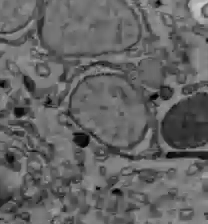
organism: C57BL Mouse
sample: Liver